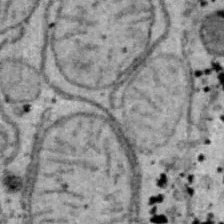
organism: Mouse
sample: Liver from an obese (ob/ob) mouse